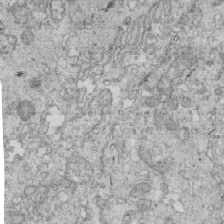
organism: Mouse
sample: Multiciliated cells